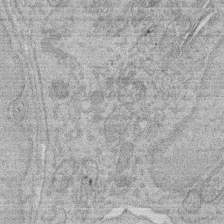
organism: Rat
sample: Salivary granule